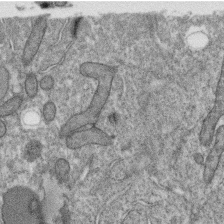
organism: C. elegans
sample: C. elegans oocyte; sperm cells